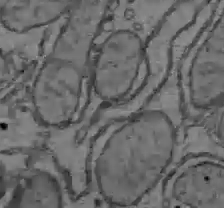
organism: C57BL Mouse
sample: Liver